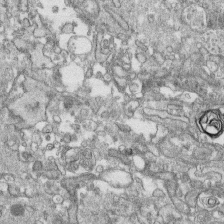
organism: Human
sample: CRL-1474